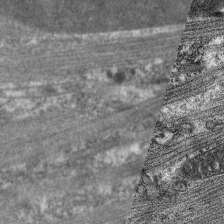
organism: C. elegans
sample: Pharynx